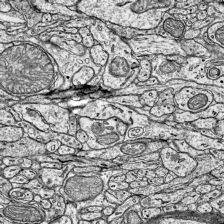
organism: Mouse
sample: Visual Cortex